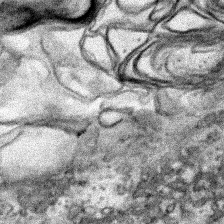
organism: Human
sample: Mitochondria in HCT116 cells